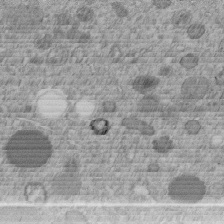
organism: C. elegans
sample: C. elegans embryo early stage